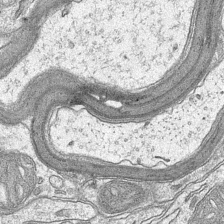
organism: Mouse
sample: CA1 Hippocampus